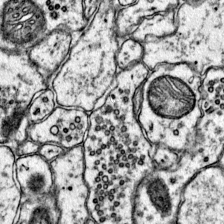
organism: Mouse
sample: Primary visual cortex